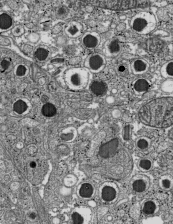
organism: C57BL Mouse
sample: Pancreatic islet